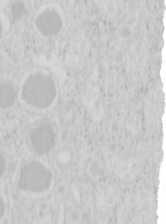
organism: Mouse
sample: Pancreas